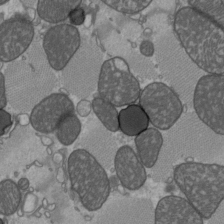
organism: C57BL Mouse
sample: Heart